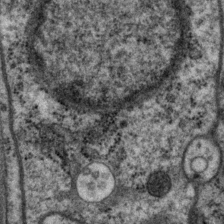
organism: P. pacificus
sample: Pharynx